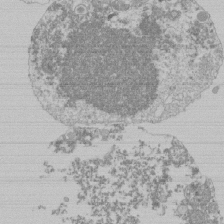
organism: Mouse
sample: Activated Pmel transgenic CD8+ T Cells